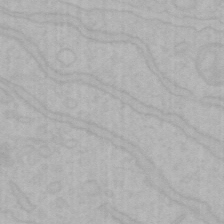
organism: Mouse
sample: Choroid plexus